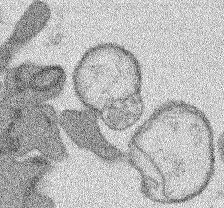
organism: Human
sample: HeLa cells